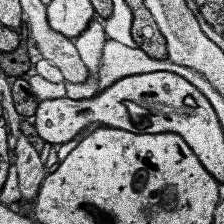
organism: Human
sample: Temporal Lobe